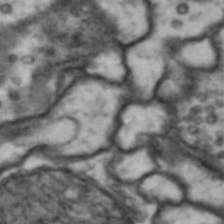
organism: Drosophila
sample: Brain